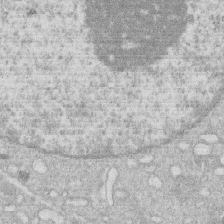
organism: Human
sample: Macrophage cells